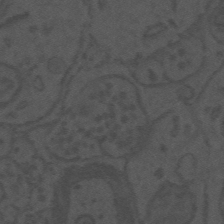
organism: Mouse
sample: Suprachiasmatic nucleus